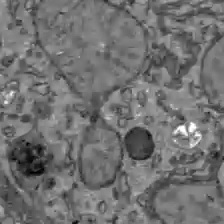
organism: C57BL Mouse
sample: Liver